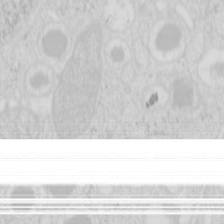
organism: Mouse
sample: Pancreas